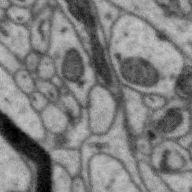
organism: Zebra finch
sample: Brain